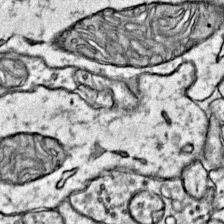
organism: Mouse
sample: Primary visual cortex